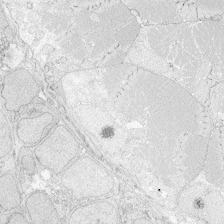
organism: Zebrafish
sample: Whole-Brain